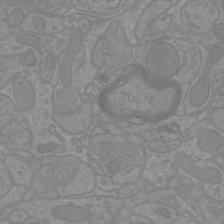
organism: Mouse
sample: Cortical neurons